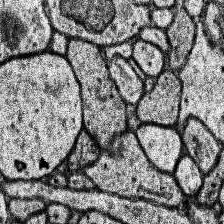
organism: Human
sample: Temporal Lobe